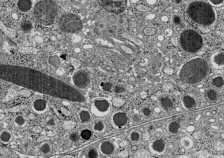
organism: C57BL Mouse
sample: Pancreatic islet